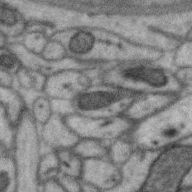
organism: Zebra finch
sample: Brain